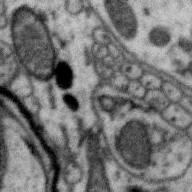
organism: Zebra finch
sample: Brain